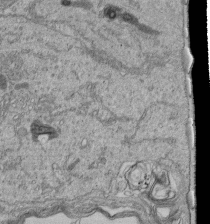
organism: Human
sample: Retinal organoid Rod and Cone cells